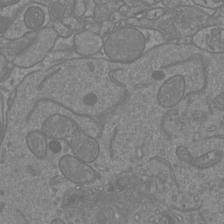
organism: Mouse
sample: Cortical neurons